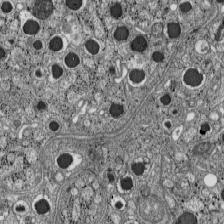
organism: C57BL Mouse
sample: Pancreatic islet